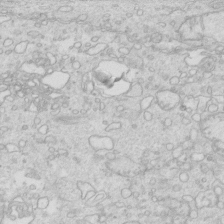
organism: Mouse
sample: Multiciliated cells